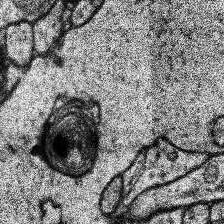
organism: Human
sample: Temporal Lobe